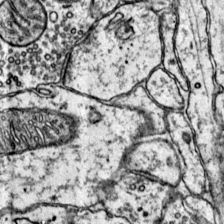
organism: Mouse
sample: Primary visual cortex